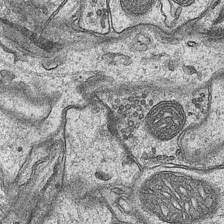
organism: Mouse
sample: CA1 Hippocampus